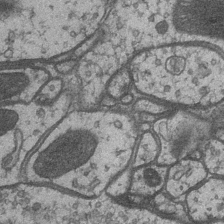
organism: Drosophila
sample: Optic medulla